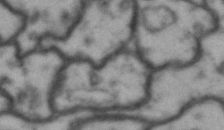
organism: Drosophila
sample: Brain